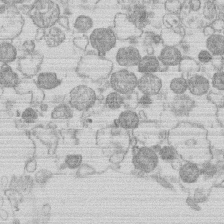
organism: Human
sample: Macrophage cells